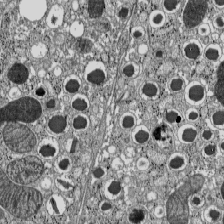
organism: C57BL Mouse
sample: Pancreatic islet